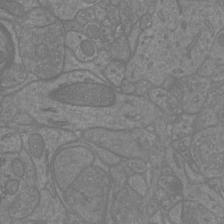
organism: Mouse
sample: Cortical neurons